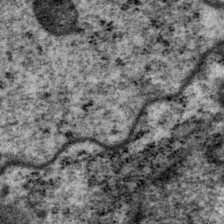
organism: P. pacificus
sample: Pharynx